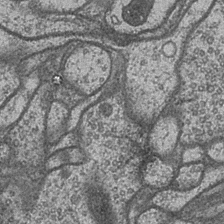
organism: Drosophila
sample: Optic medulla